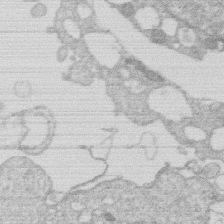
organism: Human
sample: Macrophage cells